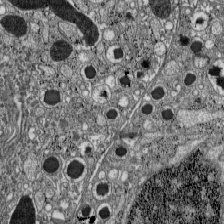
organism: C57BL Mouse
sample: Pancreatic islet